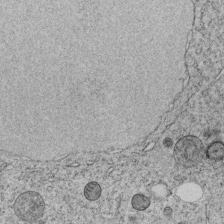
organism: C. elegans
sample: C. elegans embryo early stage